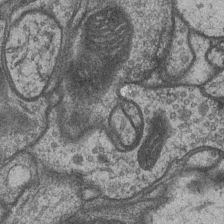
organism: Drosophila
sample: Optic medulla